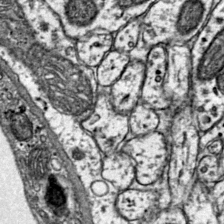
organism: Mouse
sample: Primary visual cortex